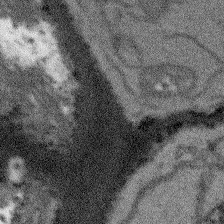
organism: Arabidopsis thaliana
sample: Root tip